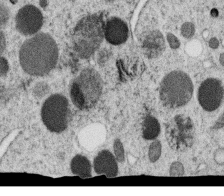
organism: C. elegans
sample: C. elegans oocyte; sperm cells